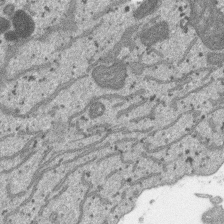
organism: Human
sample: Lung epithelial cells infected with SARS-CoV-2